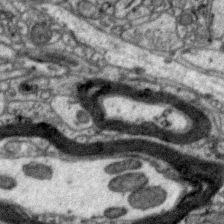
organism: Zebra finch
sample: Brain